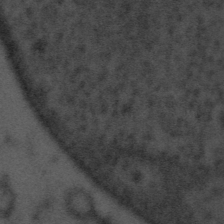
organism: Tuwongella immobilis